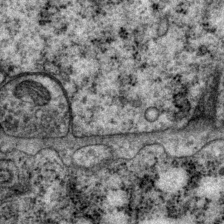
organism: P. pacificus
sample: Pharynx